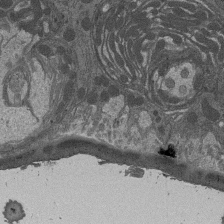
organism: Drosophila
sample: Antenna